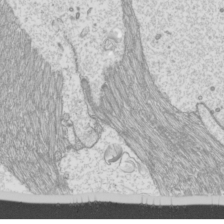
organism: Mouse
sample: Cilia; mouse epididymis